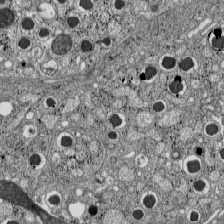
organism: C57BL Mouse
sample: Pancreatic islet